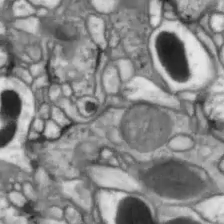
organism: Drosophila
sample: Optic lobe